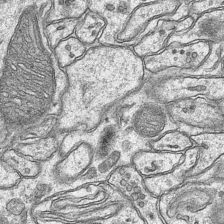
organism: Mouse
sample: CA1 Hippocampus